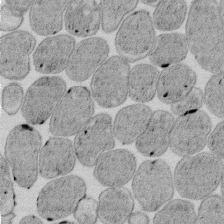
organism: E. coli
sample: Bacterial nucleoid